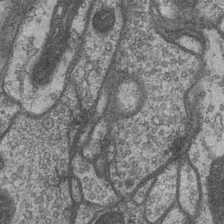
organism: Drosophila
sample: Optic medulla